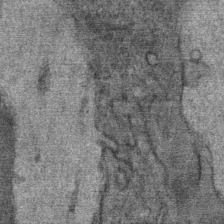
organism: Mouse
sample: Mouse Salivary gland